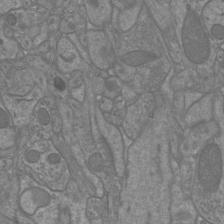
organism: Mouse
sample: Cortical neurons